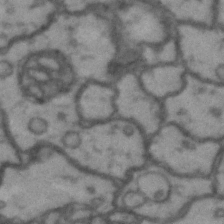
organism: Drosophila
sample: Brain